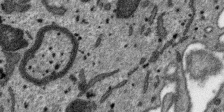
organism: Human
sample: Lung epithelial cells, uninfected (mock) control